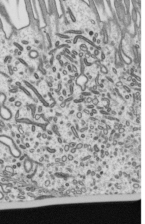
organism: Mouse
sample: Mouse epididymis efferent ductule cilia